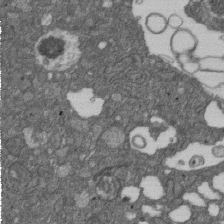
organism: Drosophila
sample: Nephrocyte